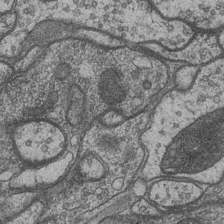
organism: Drosophila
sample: Optic medulla